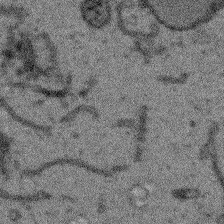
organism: Arabidopsis thaliana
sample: Root tip